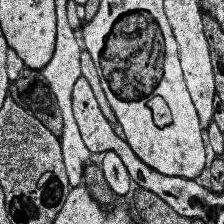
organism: Human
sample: Temporal Lobe